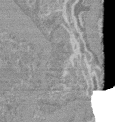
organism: Mouse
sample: Glomerulus